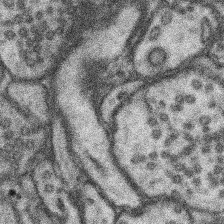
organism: Mouse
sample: Somatosensory cortex neuropil